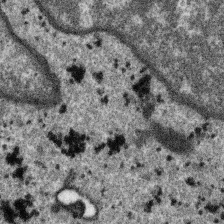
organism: Human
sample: Lung epithelial cells infected with SARS-CoV-2